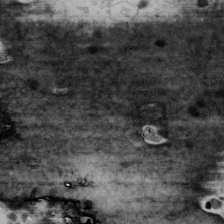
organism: Human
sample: U2-OS cells